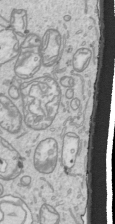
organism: Human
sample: Mitochondria in HCT116 cells